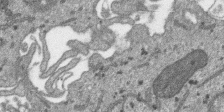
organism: Human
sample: Lung epithelial cells infected with SARS-CoV-2